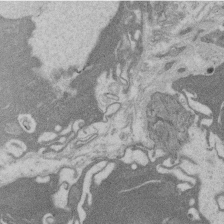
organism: Rat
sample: Salivary granule